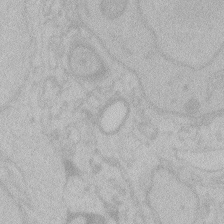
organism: Zebrafish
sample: Macrophage infected with Toxoplasma gondii